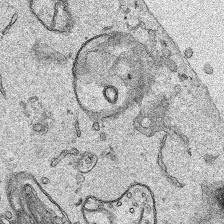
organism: Human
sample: Mitochondria in HCT116 cells